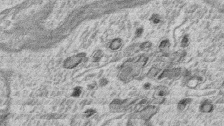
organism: Zebrafish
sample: synaptic ribbons in rod cells and cone cells